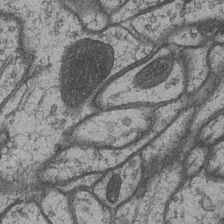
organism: Drosophila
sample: Optic medulla